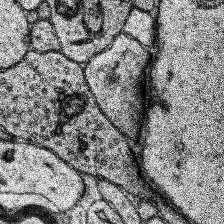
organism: Human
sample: Temporal Lobe